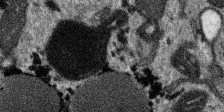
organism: Human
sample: Lung epithelial cells infected with SARS-CoV-2